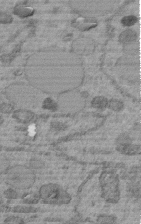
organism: C. elegans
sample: C. elegans embryo early stage